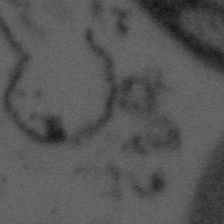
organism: Tuwongella immobilis